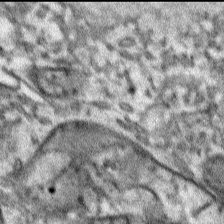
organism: Human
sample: Mitochondria in HCT116 cells